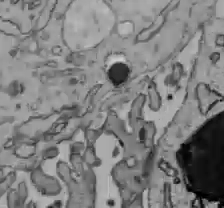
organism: C57BL Mouse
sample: Liver